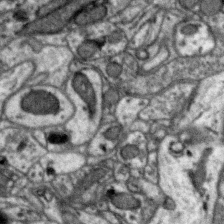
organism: Zebra finch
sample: Brain